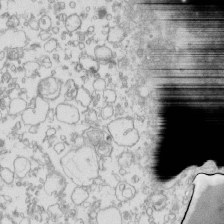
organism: Mouse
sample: Macrophages